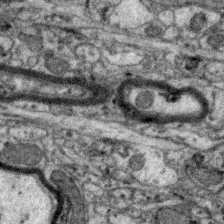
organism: Zebra finch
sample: Brain